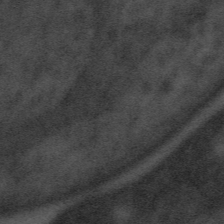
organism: Tuwongella immobilis